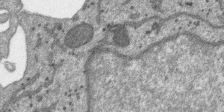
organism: Human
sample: Lung epithelial cells infected with SARS-CoV-2